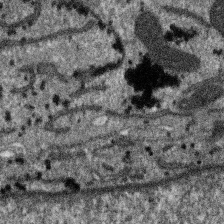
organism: Human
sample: Lung epithelial cells infected with SARS-CoV-2